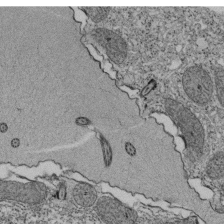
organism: Tetrahymena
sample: Cilia in tetrahymena